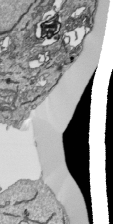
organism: Human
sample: Mitochondria in HCT116 cells